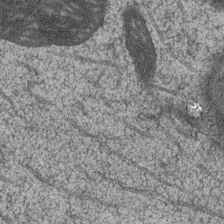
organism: Drosophila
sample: Optic medulla